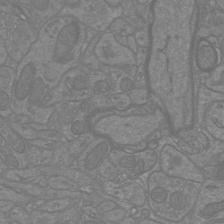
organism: Mouse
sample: Cortical neurons